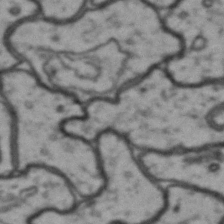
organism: Drosophila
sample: Brain